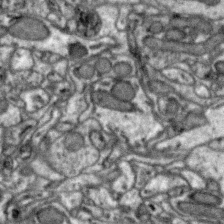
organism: Zebra finch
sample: Brain